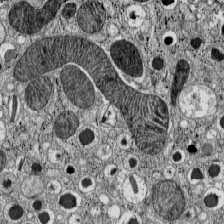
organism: C57BL Mouse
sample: Pancreatic islet